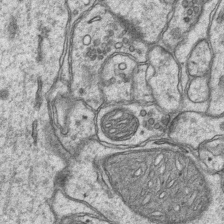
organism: Mouse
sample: CA1 Hippocampus